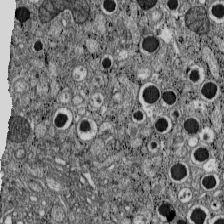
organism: C57BL Mouse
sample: Pancreatic islet